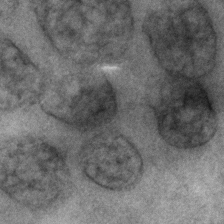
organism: C. elegans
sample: C. elegans embryo